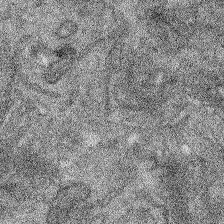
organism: Human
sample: HeLa cells